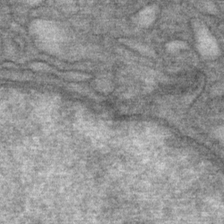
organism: Mouse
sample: Mouse Salivary gland